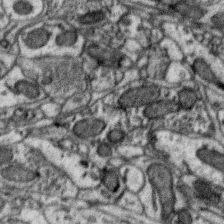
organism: Zebra finch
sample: Brain